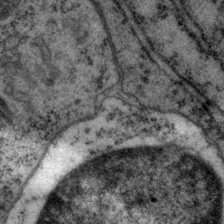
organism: P. pacificus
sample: Pharynx